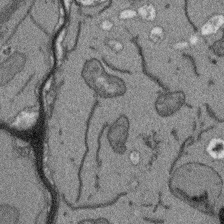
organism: Arabidopsis thaliana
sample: Root tip